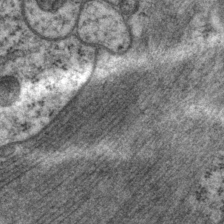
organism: P. pacificus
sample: Pharynx